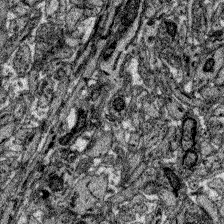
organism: Zebrafish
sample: Larval olfactory bulb